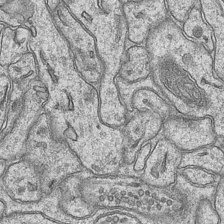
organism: Mouse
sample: CA1 Hippocampus